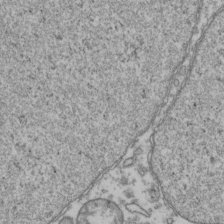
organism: Human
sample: Activated Jurkat CD4+ T cells